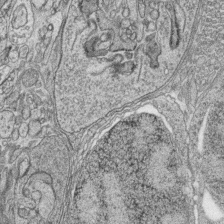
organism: Zebrafish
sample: synaptic ribbons in rod cells and cone cells